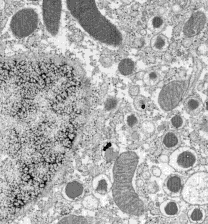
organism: C57BL Mouse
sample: Pancreatic islet